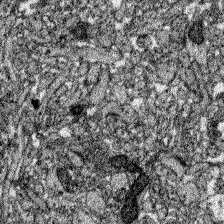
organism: Zebrafish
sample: Larval olfactory bulb